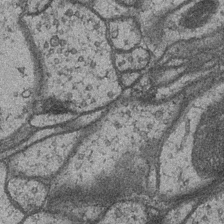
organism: Drosophila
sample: Optic medulla